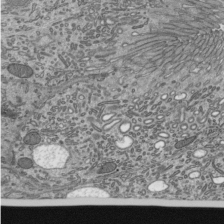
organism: Mouse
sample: Mouse epididymis efferent ductule cilia